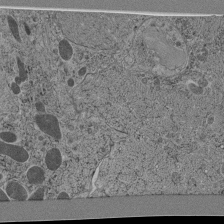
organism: C. elegans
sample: C. elegans pharynx